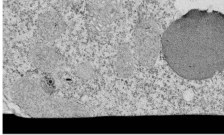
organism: Tetrahymena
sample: Cilia in tetrahymena